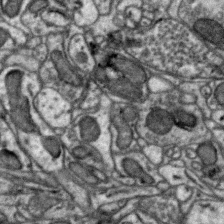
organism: Zebra finch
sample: Brain